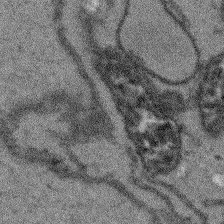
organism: Arabidopsis thaliana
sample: Root tip